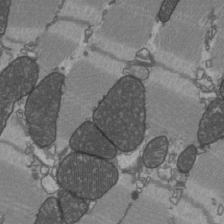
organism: C57BL Mouse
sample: Heart